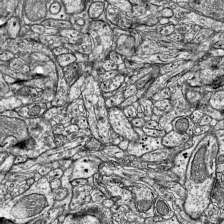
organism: Mouse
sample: Visual Cortex